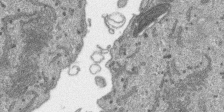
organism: Human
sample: Lung epithelial cells infected with SARS-CoV-2